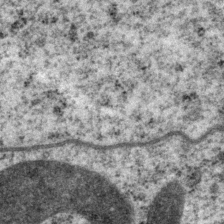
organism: P. pacificus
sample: Pharynx